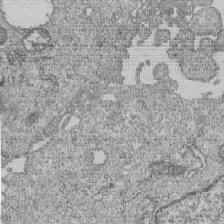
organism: Human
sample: MDA-MB-231 cells